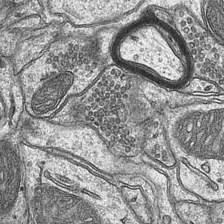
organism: Mouse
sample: CA1 Hippocampus